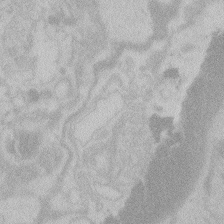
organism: Zebrafish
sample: Macrophage infected with Toxoplasma gondii